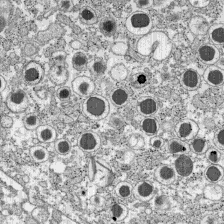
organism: C57BL Mouse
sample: Pancreatic islet